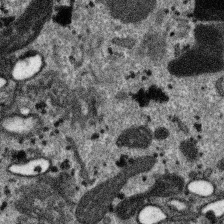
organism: Human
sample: Lung epithelial cells infected with SARS-CoV-2